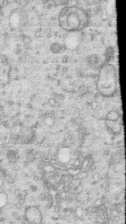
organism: Human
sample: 1205lu cells